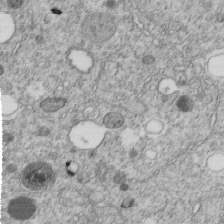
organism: C. elegans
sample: C. elegans embryo early stage